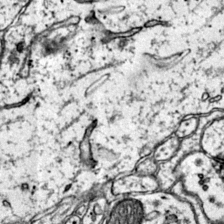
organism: Mouse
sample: Primary visual cortex